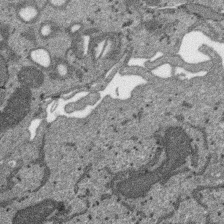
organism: Human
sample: Lung epithelial cells infected with SARS-CoV-2